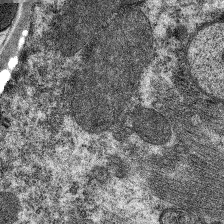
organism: C. elegans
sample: Pharynx